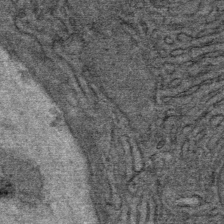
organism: Mouse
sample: Mouse Salivary gland